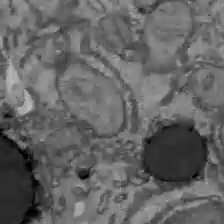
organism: C57BL Mouse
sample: Liver